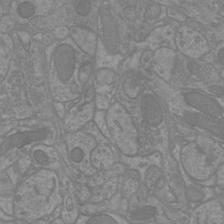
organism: Mouse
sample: Cortical neurons